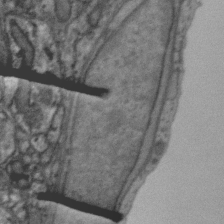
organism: Zebra finch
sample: Brain